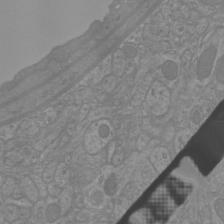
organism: Mouse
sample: Cortical neurons